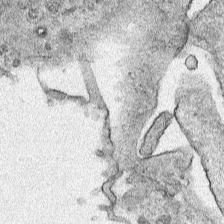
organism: Human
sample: Mitochondria in HCT116 cells